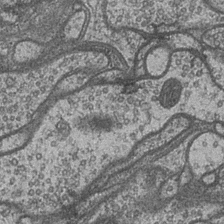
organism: Drosophila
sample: Optic medulla